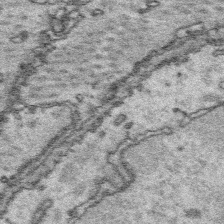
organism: Platynereis dumerilii